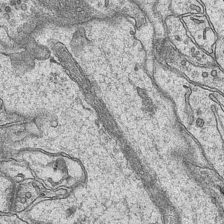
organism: Mouse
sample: CA1 Hippocampus